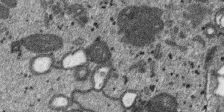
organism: Human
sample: Lung epithelial cells infected with SARS-CoV-2